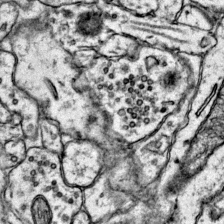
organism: Mouse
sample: Primary visual cortex